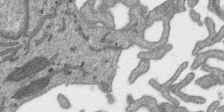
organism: Human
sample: Lung epithelial cells infected with SARS-CoV-2